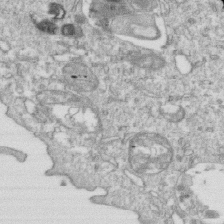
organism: Mouse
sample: Activated OT-1 CD8+ T cells